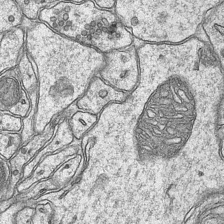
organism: Mouse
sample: CA1 Hippocampus